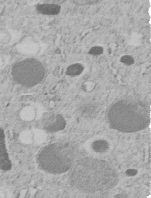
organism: C. elegans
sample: C. elegans embryo early stage